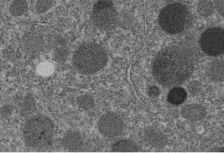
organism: C. elegans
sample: C. elegans embryo early stage